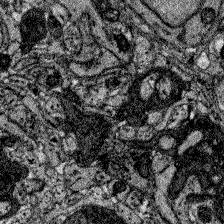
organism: Zebrafish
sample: Larval olfactory bulb